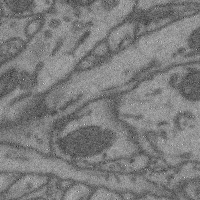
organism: Mouse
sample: Cerebral cortex